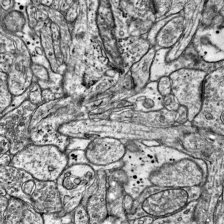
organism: Mouse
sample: Visual Cortex